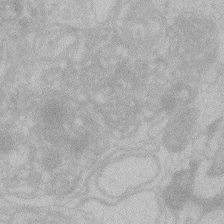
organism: Zebrafish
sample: Macrophage infected with Toxoplasma gondii